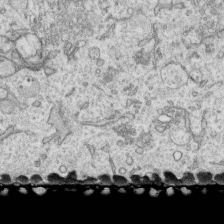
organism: Human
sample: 1205lu cells